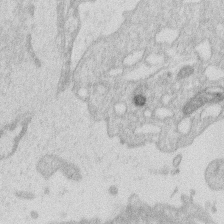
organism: Human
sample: Macrophage cells